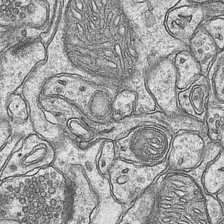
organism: Mouse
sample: CA1 Hippocampus